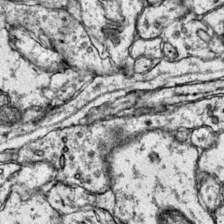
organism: Mouse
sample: Primary visual cortex